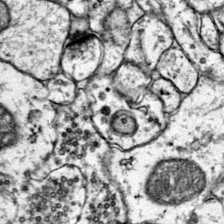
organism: Mouse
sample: Primary visual cortex